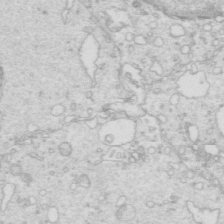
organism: Mouse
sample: Multiciliated cells